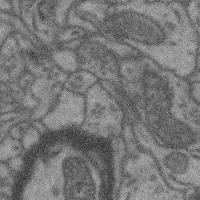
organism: Mouse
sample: Cerebral cortex